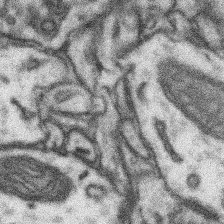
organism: Mouse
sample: Somatosensory cortex neuropil